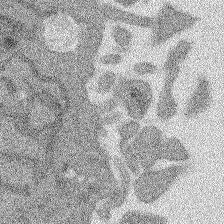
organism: Human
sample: HeLa cells